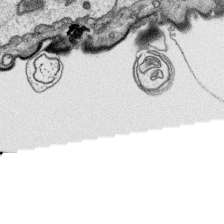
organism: Platynereis dumerilii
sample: Parapodia